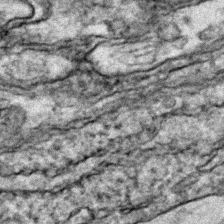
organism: Zebrafish